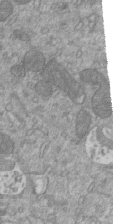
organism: Mouse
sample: ED-1 cell nuclei; centrioles